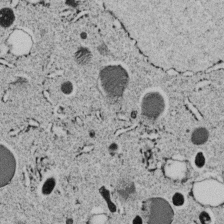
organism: C. elegans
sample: C. elegans embryo early stage